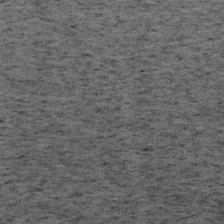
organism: Mouse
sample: OT-I killer T cells with ID8 ovarian cancer cells